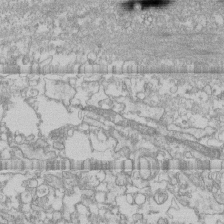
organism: Human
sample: CRL-1474